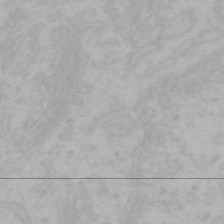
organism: Mouse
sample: Choroid plexus